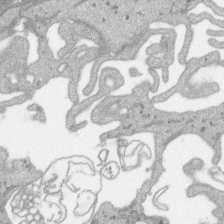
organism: Human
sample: Lung epithelial cells infected with SARS-CoV-2